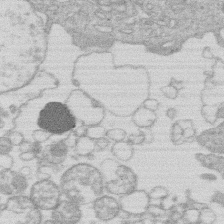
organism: Human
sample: Macrophage cells